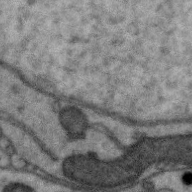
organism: Zebra finch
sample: Brain